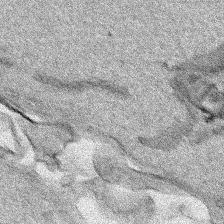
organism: Human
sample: Mitochondria in HCT116 cells